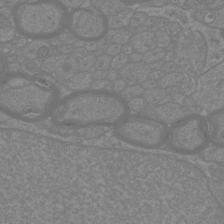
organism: Mouse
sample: Cortical neurons